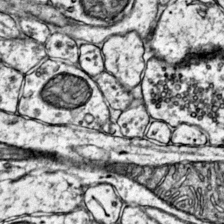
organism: Mouse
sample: Primary visual cortex